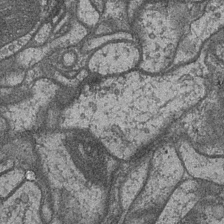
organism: Drosophila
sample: Optic medulla